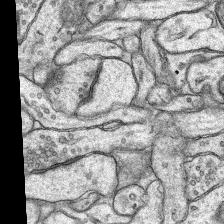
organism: Rat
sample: Hippocampus